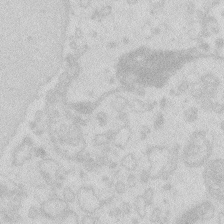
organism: Zebrafish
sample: Macrophage